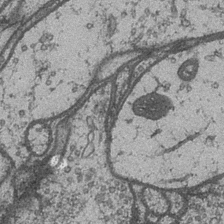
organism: Drosophila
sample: Optic medulla